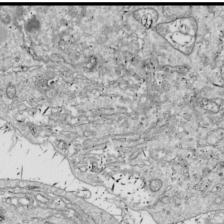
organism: Drosophila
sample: Cell division; meiosis; drosophila spermatocytes